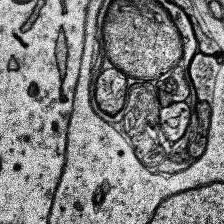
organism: Human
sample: Temporal Lobe